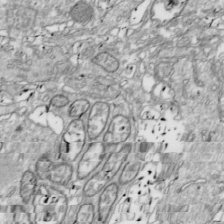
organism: Drosophila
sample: Cell division; meiosis; drosophila spermatocytes